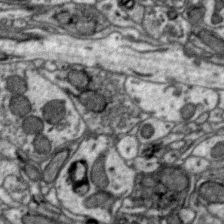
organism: Zebra finch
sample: Brain